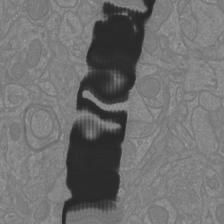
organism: Mouse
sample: Cortical neurons